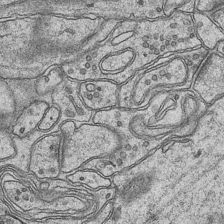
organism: Mouse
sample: CA1 Hippocampus